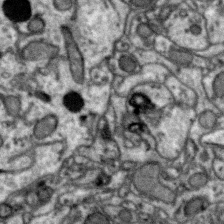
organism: Zebra finch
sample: Brain